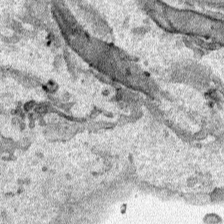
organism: Human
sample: Mitochondria in HCT116 cells